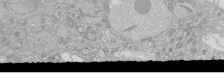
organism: Human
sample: Caco-2 cells